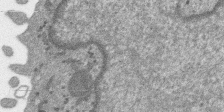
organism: Human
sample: Lung epithelial cells infected with SARS-CoV-2